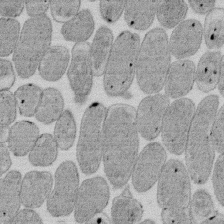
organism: E. coli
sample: Bacterial nucleoid